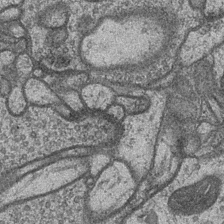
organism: Drosophila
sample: Optic medulla